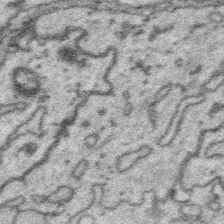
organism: Platynereis dumerilii